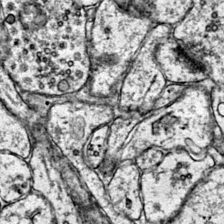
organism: Mouse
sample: Primary visual cortex